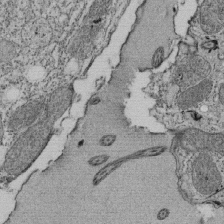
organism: Tetrahymena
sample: Cilia in tetrahymena